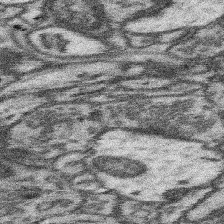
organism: Mouse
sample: Somatosensory cortex neuropil